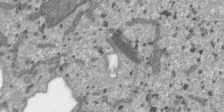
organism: Human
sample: Lung epithelial cells infected with SARS-CoV-2